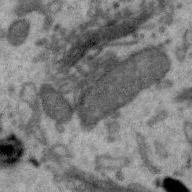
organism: Zebra finch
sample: Brain